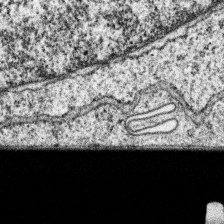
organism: Human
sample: HeLa cells